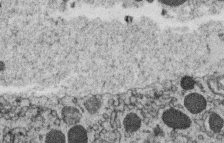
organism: C. elegans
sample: C. elegans oocyte; sperm cells